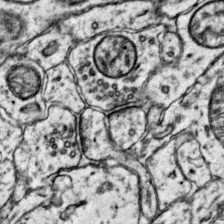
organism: Mouse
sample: Primary visual cortex